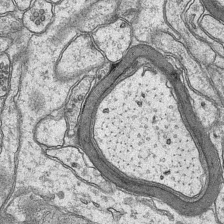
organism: Mouse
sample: CA1 Hippocampus